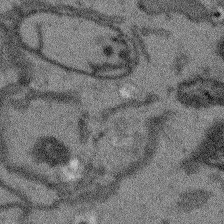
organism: Arabidopsis thaliana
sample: Root tip